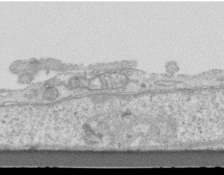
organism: Mouse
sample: Centriole in ependymal cells